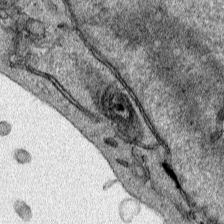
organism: Human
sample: Mitochondria in HCT116 cells